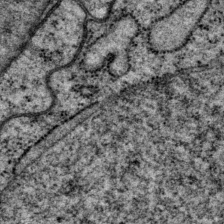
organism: P. pacificus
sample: Pharynx